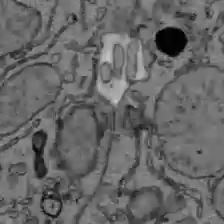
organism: C57BL Mouse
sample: Liver